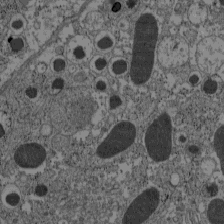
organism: C57BL Mouse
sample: Pancreatic islet